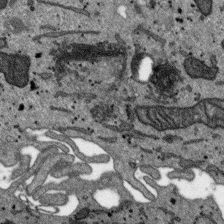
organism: Human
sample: Lung epithelial cells, uninfected (mock) control